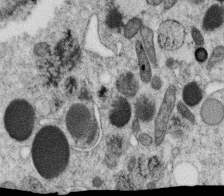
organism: C. elegans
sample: C. elegans oocyte; sperm cells